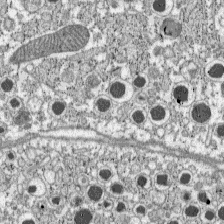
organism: C57BL Mouse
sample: Pancreatic islet